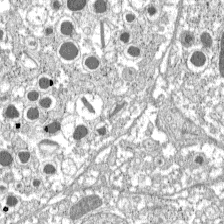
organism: C57BL Mouse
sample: Pancreatic islet